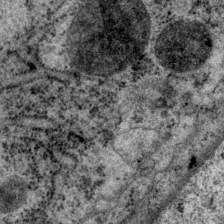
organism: P. pacificus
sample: Pharynx